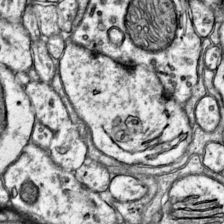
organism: Mouse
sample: Primary visual cortex